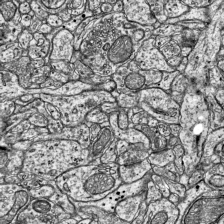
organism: Mouse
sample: Visual Cortex